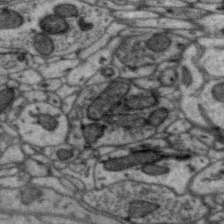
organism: Zebra finch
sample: Brain